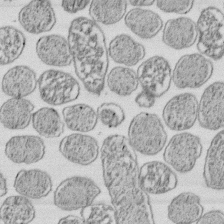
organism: E. coli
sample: Bacterial nucleoid